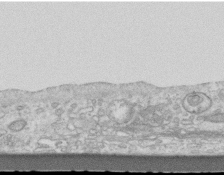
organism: Mouse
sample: Centriole in ependymal cells